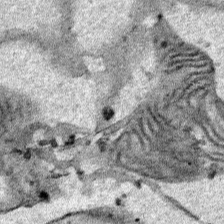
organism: Human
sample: Mitochondria in HCT116 cells